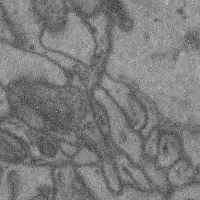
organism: Mouse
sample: Cerebral cortex